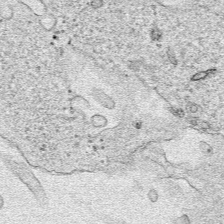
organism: Human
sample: Mitochondria in HCT116 cells